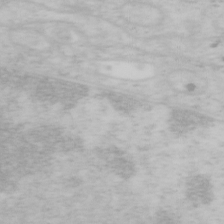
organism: Mouse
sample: OT-I killer T cells with ID8 ovarian cancer cells